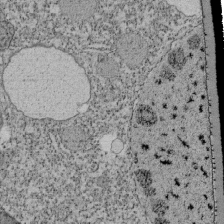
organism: Tetrahymena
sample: Cilia in tetrahymena